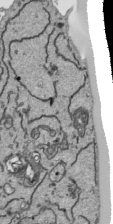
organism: Human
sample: Mitochondria in HCT116 cells